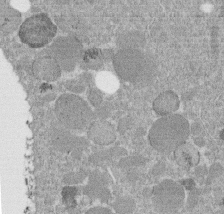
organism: C. elegans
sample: C. elegans embryo early stage